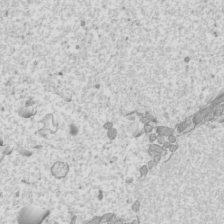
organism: Mouse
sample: Cilia; mouse epididymis